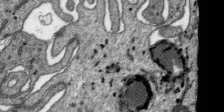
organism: Human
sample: Lung epithelial cells, uninfected (mock) control